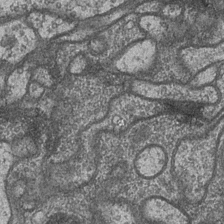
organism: Drosophila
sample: Optic medulla